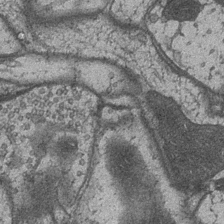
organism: Drosophila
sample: Optic medulla